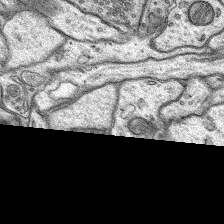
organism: Rat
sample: Hippocampus